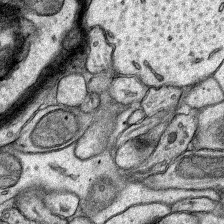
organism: Rat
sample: Hippocampus